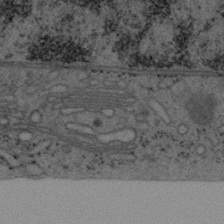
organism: Human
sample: HeLa cells